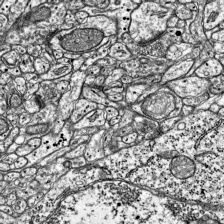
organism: Mouse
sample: Visual Cortex